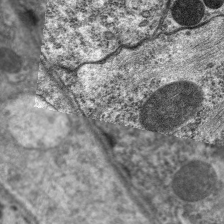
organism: C. elegans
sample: Pharynx